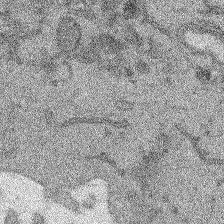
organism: Human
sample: HeLa cells